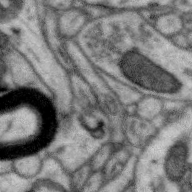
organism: Zebra finch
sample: Brain